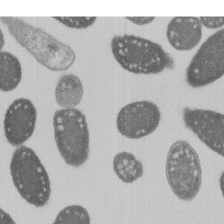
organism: E. coli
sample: Bacterial nucleoid